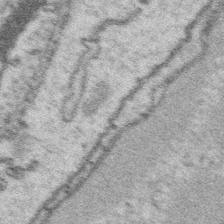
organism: Platynereis dumerilii